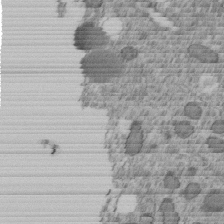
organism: C. elegans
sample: C. elegans embryo early stage